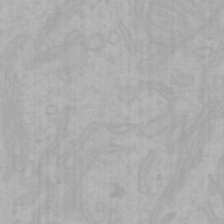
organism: Mouse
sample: Choroid plexus